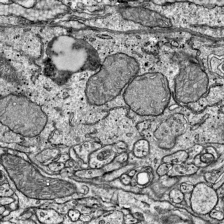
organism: Mouse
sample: Visual Cortex